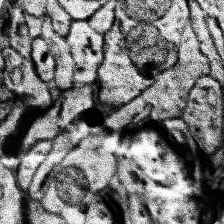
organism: Human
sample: Temporal Lobe